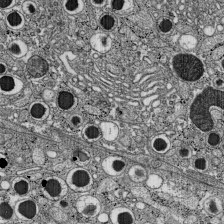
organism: C57BL Mouse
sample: Pancreatic islet